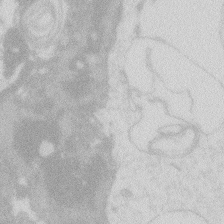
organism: Zebrafish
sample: Macrophage